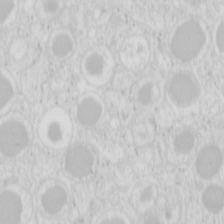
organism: Mouse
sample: Pancreas